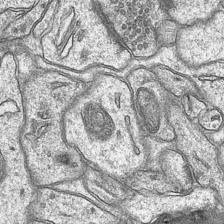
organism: Mouse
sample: CA1 Hippocampus